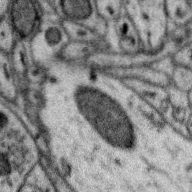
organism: Zebra finch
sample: Brain